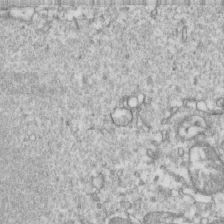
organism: Mouse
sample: Activated OT-1 CD8+ T cells